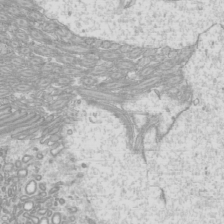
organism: Mouse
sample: Cilia; mouse epididymis